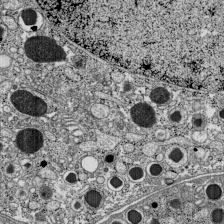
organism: C57BL Mouse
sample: Pancreatic islet